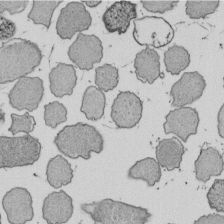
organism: E. coli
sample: Bacterial nucleoid